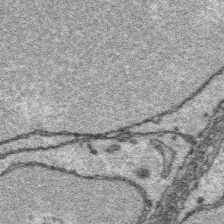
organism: Platynereis dumerilii